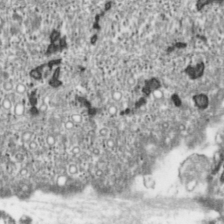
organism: Toxoplasma gondii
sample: Parasites in a vacuole inside a host cell